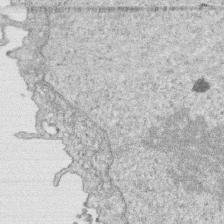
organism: Human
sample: HeLa cell HIV synapse